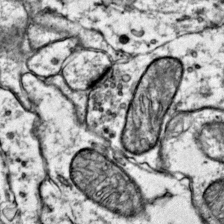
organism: Mouse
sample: Primary visual cortex